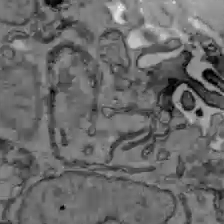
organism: C57BL Mouse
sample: Liver